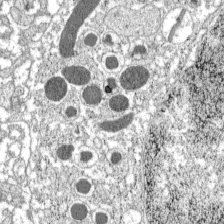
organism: C57BL Mouse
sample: Pancreatic islet